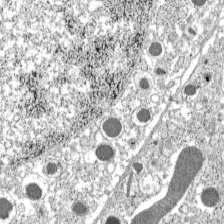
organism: C57BL Mouse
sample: Pancreatic islet